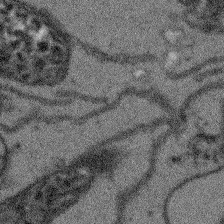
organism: Arabidopsis thaliana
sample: Root tip